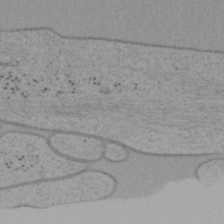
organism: Human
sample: HeLa cells